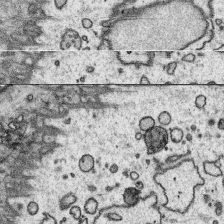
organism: Platynereis dumerilii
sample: Parapodia